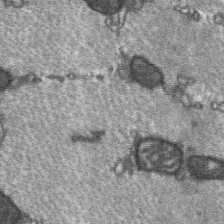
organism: C57BL Mouse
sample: Soleus